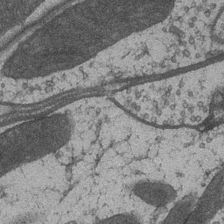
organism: Drosophila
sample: Optic medulla